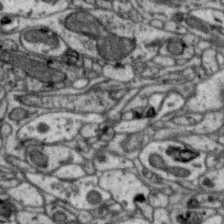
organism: Zebra finch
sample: Brain